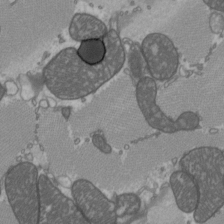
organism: C57BL Mouse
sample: Heart